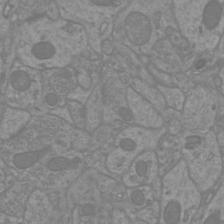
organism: Mouse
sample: Cortical neurons